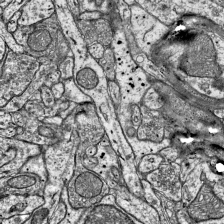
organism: Mouse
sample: Visual Cortex